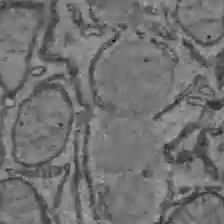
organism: C57BL Mouse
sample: Liver